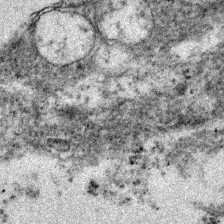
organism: Zebrafish